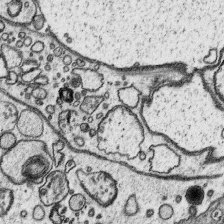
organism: Platynereis dumerilii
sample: Parapodia